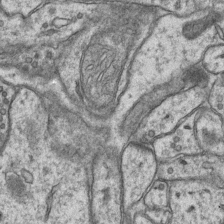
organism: Mouse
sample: CA1 Hippocampus